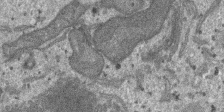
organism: Human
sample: Lung epithelial cells infected with SARS-CoV-2